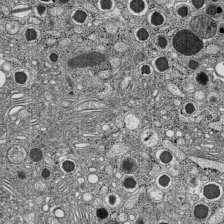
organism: C57BL Mouse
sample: Pancreatic islet